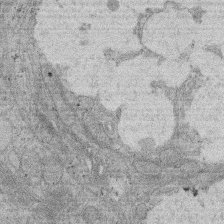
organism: Rat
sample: Salivary granule